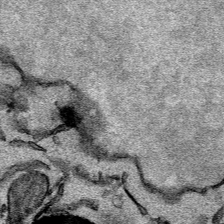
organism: Mouse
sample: Cancer cell death in ED-1 cells